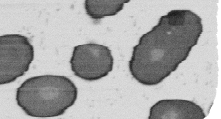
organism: B. subtilis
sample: Bacterial spore